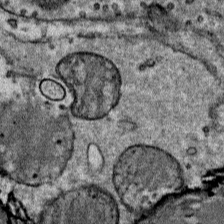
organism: Mouse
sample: Mouse Salivary gland